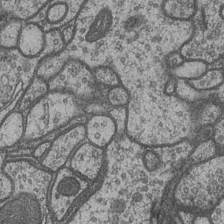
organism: Drosophila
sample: Optic medulla